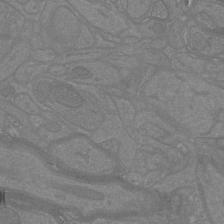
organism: Mouse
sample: Cortical neurons